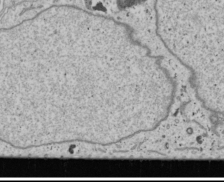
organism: Human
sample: Mitochondria in U2OS cells